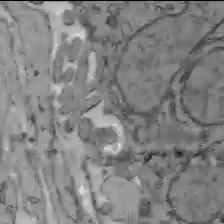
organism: C57BL Mouse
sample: Liver